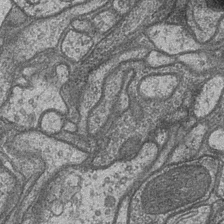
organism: Drosophila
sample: Optic medulla